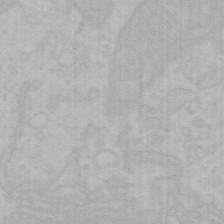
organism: Mouse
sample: Choroid plexus